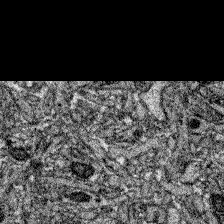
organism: Zebrafish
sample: Larval olfactory bulb